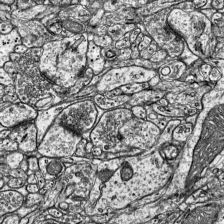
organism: Mouse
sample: Visual Cortex